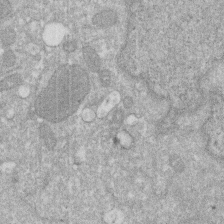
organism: Human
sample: HIV infected U937 cells